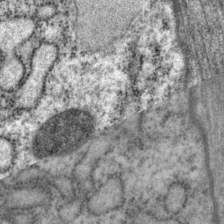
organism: P. pacificus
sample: Pharynx